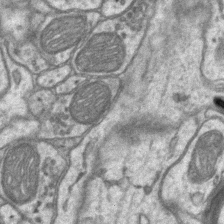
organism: Mouse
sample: CA1 Hippocampus